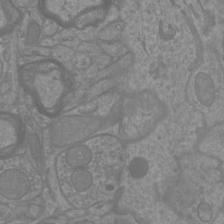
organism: Mouse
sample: Cortical neurons